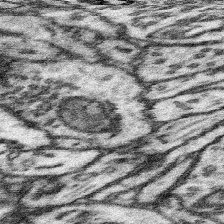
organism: Mouse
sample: Somatosensory cortex neuropil